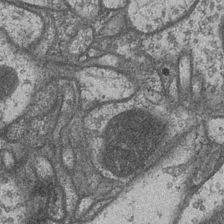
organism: Drosophila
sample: Optic medulla